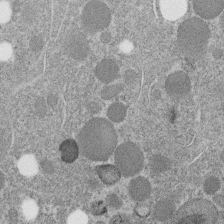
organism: C. elegans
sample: C. elegans embryo early stage